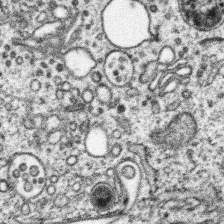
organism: Human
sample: HeLa cells